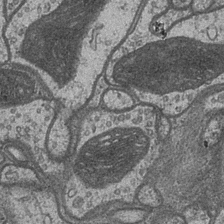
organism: Drosophila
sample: Optic medulla